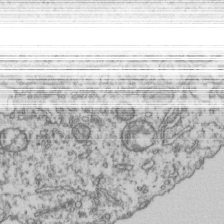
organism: Human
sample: Activated Jurkat CD4+ T cells